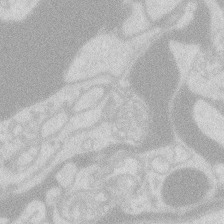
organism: Zebrafish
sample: Macrophage